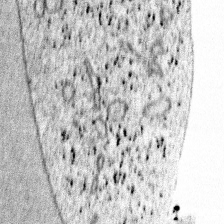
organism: Human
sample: HeLa cells